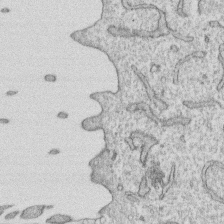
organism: Human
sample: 1205lu cells